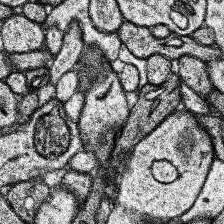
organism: Human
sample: Temporal Lobe